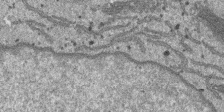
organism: Human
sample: Lung epithelial cells infected with SARS-CoV-2